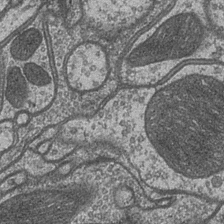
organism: Drosophila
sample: Optic medulla